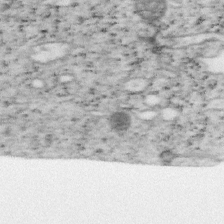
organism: Mouse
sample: OT-I killer T cells with ID8 ovarian cancer cells